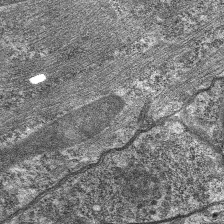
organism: C. elegans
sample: Pharynx